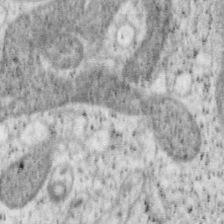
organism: Mouse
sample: OT-I killer T cells with ID8 ovarian cancer cells